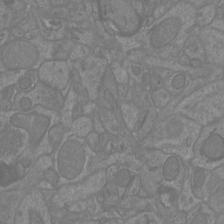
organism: Mouse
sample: Cortical neurons